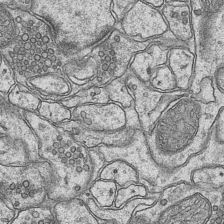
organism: Mouse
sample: CA1 Hippocampus